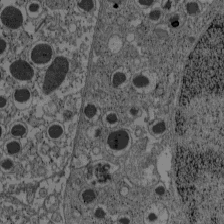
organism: C57BL Mouse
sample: Pancreatic islet